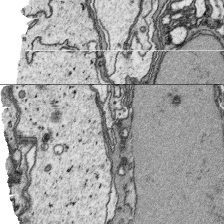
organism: Platynereis dumerilii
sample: Parapodia